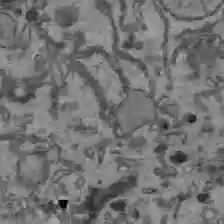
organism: C57BL Mouse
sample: Liver